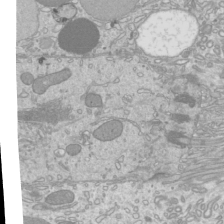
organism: Mouse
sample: Cilia; mouse epididymis